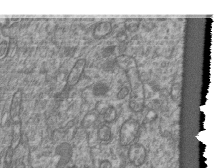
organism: Human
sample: Retinal organoid Rod and Cone cells